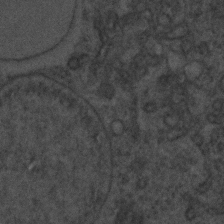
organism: C. elegans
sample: C. elegans embryo